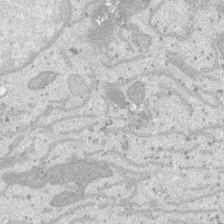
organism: Human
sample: Lung epithelial cells infected with SARS-CoV-2